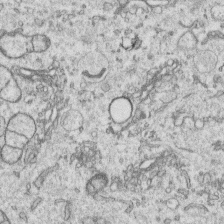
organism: Human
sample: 1205lu cells